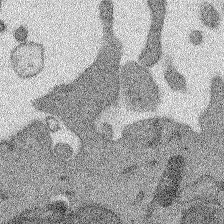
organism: Human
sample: HeLa cells